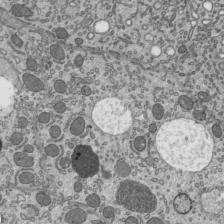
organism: Mouse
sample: Mouse epididymis efferent ductule cilia